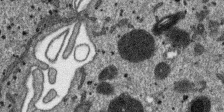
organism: Human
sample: Lung epithelial cells infected with SARS-CoV-2